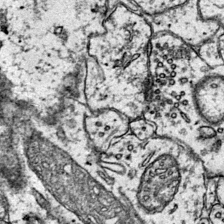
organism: Mouse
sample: Primary visual cortex